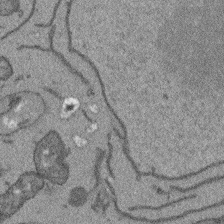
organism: Arabidopsis thaliana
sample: Root tip